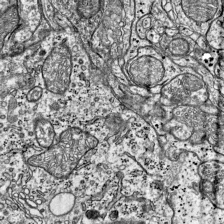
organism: Mouse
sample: Visual Cortex